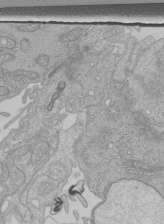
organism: Human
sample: Retinal organoid Rod and Cone cells